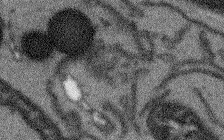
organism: Arabidopsis thaliana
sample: Root tip